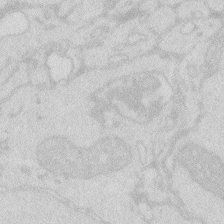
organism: Zebrafish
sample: Macrophage